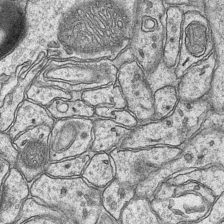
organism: Mouse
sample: CA1 Hippocampus